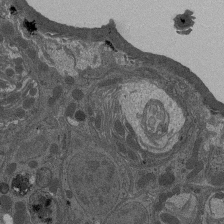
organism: Drosophila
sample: Antenna